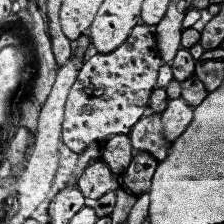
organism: Human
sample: Temporal Lobe